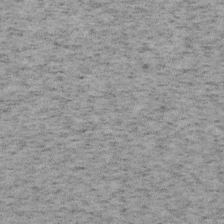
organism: Mouse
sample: OT-I killer T cells with ID8 ovarian cancer cells